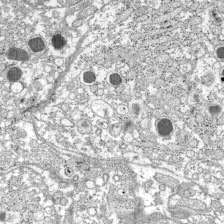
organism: C57BL Mouse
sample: Pancreatic islet